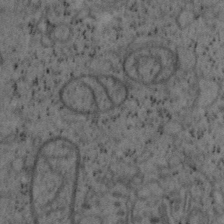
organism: Human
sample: HeLa cells